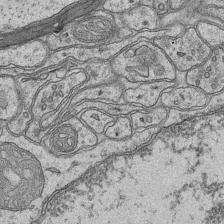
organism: Mouse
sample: CA1 Hippocampus